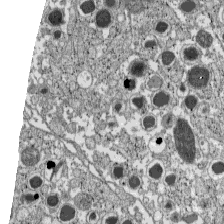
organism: C57BL Mouse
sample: Pancreatic islet